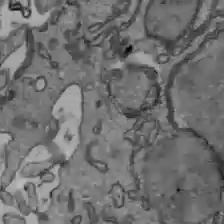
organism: C57BL Mouse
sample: Liver